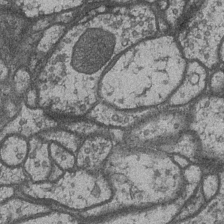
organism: Drosophila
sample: Optic medulla